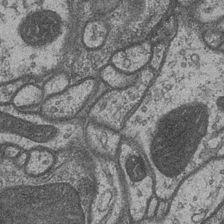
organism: Drosophila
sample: Optic medulla